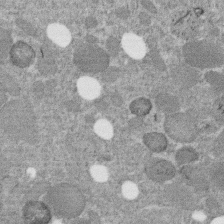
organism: C. elegans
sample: C. elegans embryo early stage